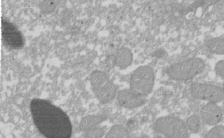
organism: Xenopus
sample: Cilia; centrioles in frog embryo cells